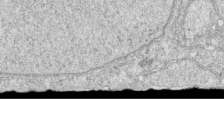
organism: Human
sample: HeLa cell HIV synapse